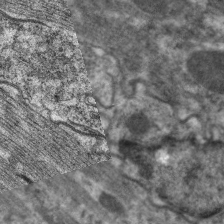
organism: C. elegans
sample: Pharynx